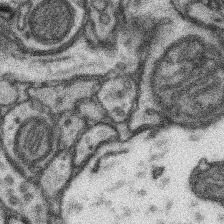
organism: Mouse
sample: Somatosensory cortex neuropil